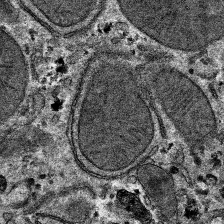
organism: Mouse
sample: Mouse hepatocytes